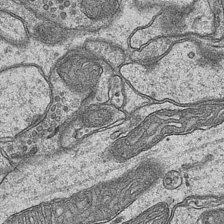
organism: Mouse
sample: CA1 Hippocampus